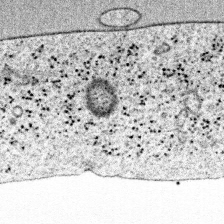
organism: Human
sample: HeLa cells